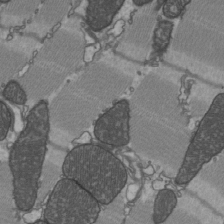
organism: C57BL Mouse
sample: Heart